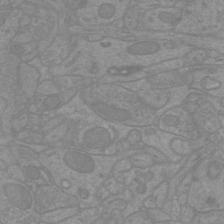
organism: Mouse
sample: Cortical neurons